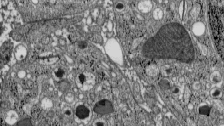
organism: C57BL Mouse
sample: Pancreatic islet